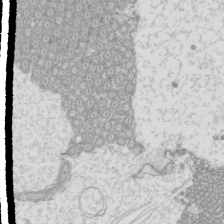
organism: Mouse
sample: Cilia; mouse epididymis